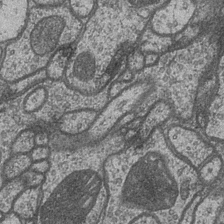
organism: Drosophila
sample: Optic medulla